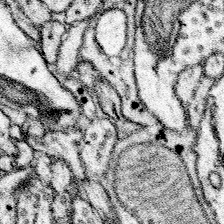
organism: Mouse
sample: Somatosensory cortex neuropil